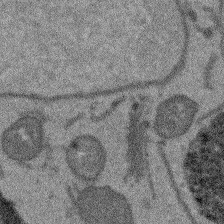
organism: Arabidopsis thaliana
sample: Root tip